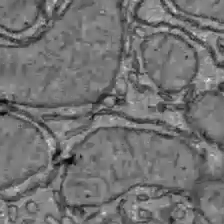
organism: C57BL Mouse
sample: Liver